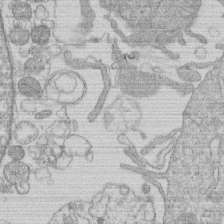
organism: Human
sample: Macrophage cells